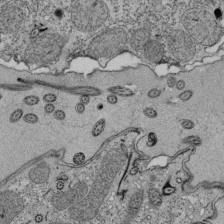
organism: Tetrahymena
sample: Cilia in tetrahymena